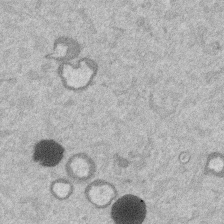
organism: Mouse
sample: Dividing mouse embryo 1 cell stage